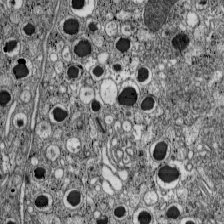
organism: C57BL Mouse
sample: Pancreatic islet